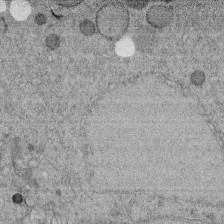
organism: C. elegans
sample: C. elegans embryo early stage